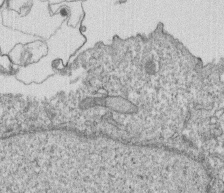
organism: Human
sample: HeLa cell HIV synapse